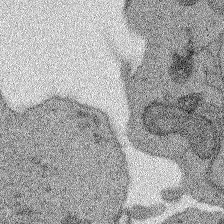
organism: Human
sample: HeLa cells